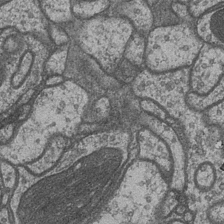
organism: Drosophila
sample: Optic medulla